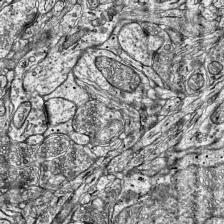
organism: Mouse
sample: Visual Cortex